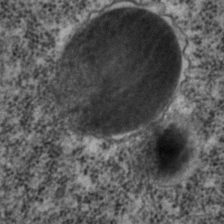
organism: C. elegans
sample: C. elegans embryo